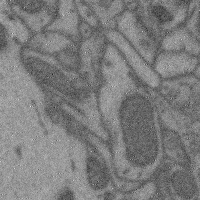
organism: Mouse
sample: Cerebral cortex